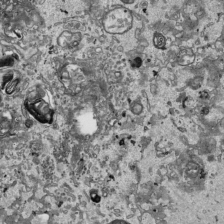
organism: Human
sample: Mitochondria in HCT116 cells